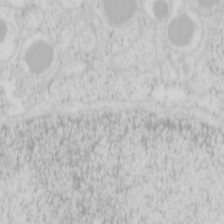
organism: Mouse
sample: Pancreas